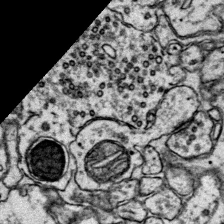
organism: Mouse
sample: Primary visual cortex